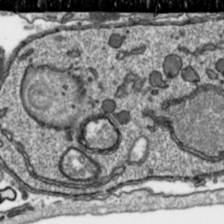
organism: Toxoplasma gondii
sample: Parasites in a vacuole inside a host cell